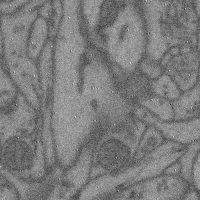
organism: Mouse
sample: Cerebral cortex